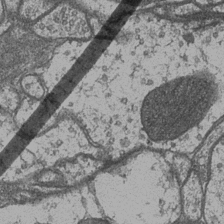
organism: Drosophila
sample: Optic medulla